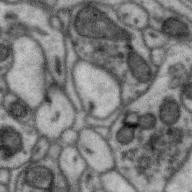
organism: Zebra finch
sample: Brain